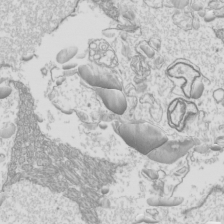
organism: Mouse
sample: Cilia; mouse epididymis